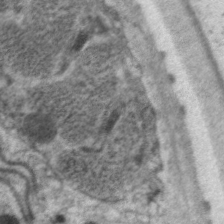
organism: C. elegans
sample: Pharynx